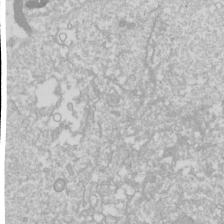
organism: Drosophila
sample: Cell division; meiosis; drosophila spermatocytes